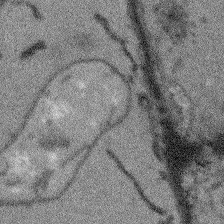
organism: Arabidopsis thaliana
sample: Root tip